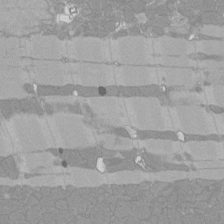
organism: Rat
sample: Left ventricle